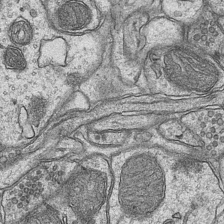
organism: Mouse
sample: CA1 Hippocampus